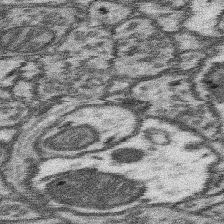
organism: Mouse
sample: Somatosensory cortex neuropil